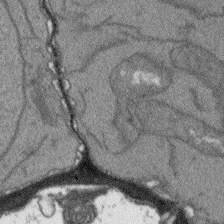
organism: Arabidopsis thaliana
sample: Root tip